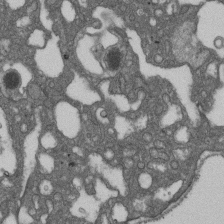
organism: Drosophila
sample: Nephrocyte